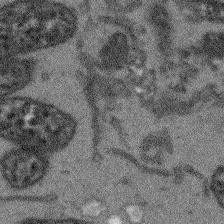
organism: Arabidopsis thaliana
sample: Root tip